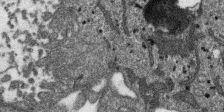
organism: Human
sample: Lung epithelial cells infected with SARS-CoV-2